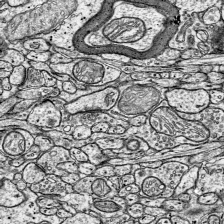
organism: Mouse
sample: Visual Cortex